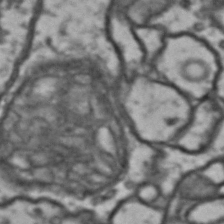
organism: Drosophila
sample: Brain